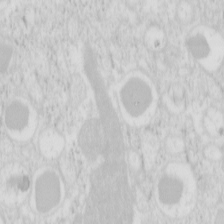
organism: Mouse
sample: Pancreas